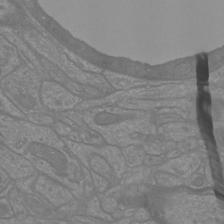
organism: Mouse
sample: Cortical neurons